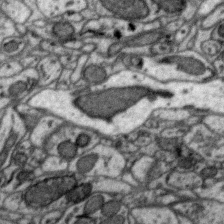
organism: Zebra finch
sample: Brain